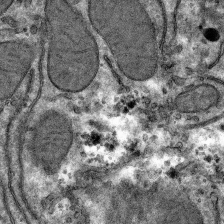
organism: Mouse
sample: Mouse hepatocytes